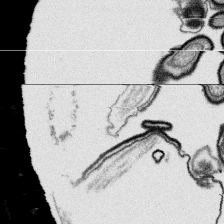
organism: Platynereis dumerilii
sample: Parapodia